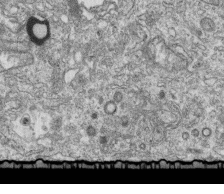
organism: Human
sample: HeLa cell HIV synapse